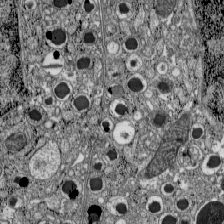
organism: C57BL Mouse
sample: Pancreatic islet